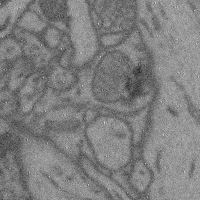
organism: Mouse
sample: Cerebral cortex